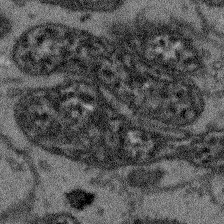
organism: Arabidopsis thaliana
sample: Root tip